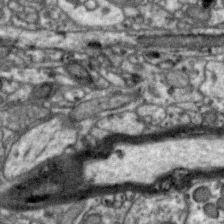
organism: Zebra finch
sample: Brain